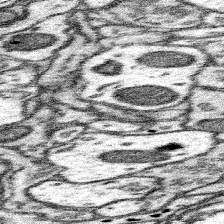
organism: Mouse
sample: Somatosensory cortex neuropil